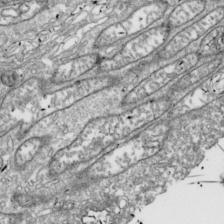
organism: Drosophila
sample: Cell division; meiosis; drosophila spermatocytes